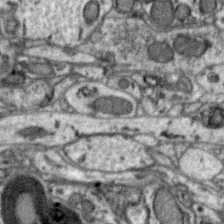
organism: Zebra finch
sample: Brain